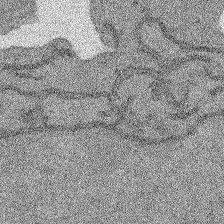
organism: Human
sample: HeLa cells